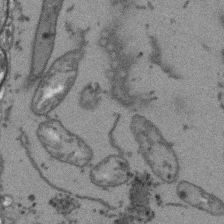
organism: Arabidopsis thaliana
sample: Root tip